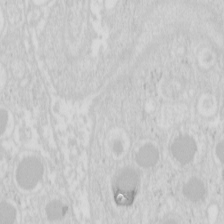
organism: Mouse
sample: Pancreas